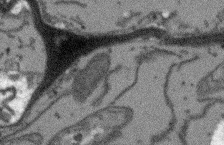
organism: Arabidopsis thaliana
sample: Root tip